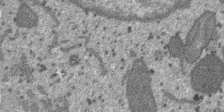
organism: Human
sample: Lung epithelial cells infected with SARS-CoV-2